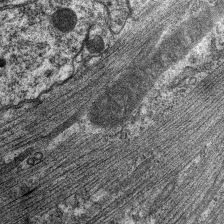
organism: C. elegans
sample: Pharynx